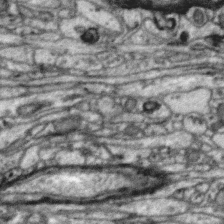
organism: Zebra finch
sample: Brain